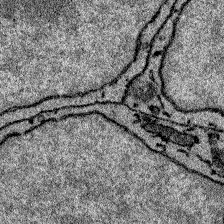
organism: Zebrafish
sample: Larval olfactory bulb